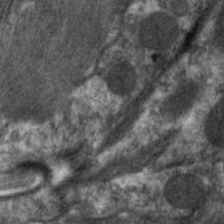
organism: C. elegans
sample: Pharynx